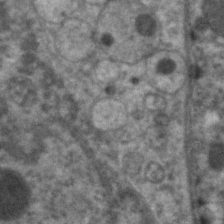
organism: C. elegans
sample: Pharynx